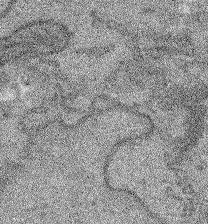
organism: Human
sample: HeLa cells